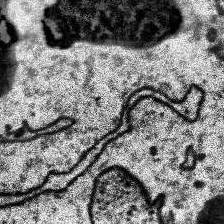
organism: Human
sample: Temporal Lobe